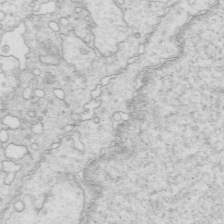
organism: Mouse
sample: Multiciliated cells